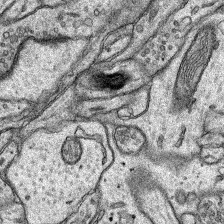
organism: Rat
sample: Hippocampus